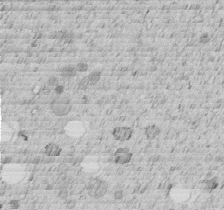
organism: C. elegans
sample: C. elegans embryo early stage